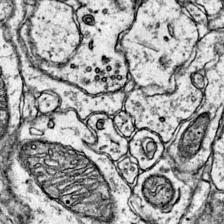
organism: Mouse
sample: Primary visual cortex